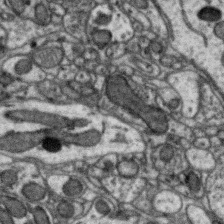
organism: Zebra finch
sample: Brain